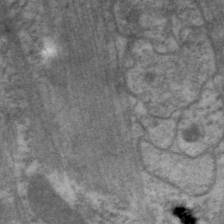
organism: C. elegans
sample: Pharynx